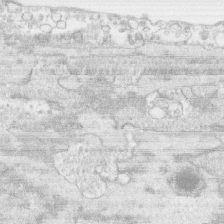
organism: Human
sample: CRL-1474